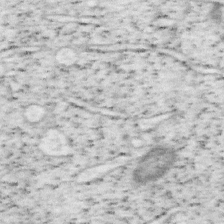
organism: Mouse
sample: OT-I killer T cells with ID8 ovarian cancer cells